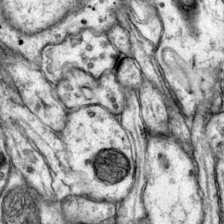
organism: Mouse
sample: Primary visual cortex